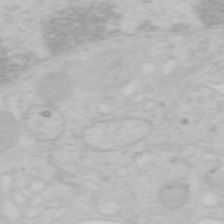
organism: Mouse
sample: OT-I killer T cells with ID8 ovarian cancer cells